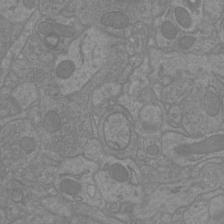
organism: Mouse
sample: Cortical neurons